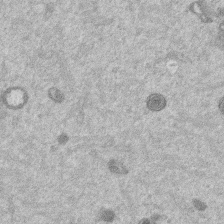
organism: Mouse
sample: Dividing mouse embryo 1 cell stage